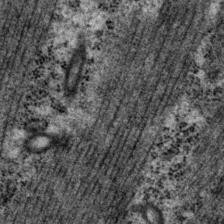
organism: P. pacificus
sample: Pharynx